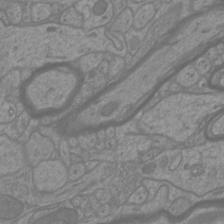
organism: Mouse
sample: Cortical neurons